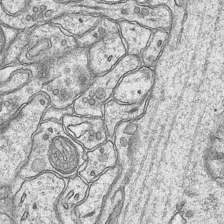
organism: Mouse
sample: CA1 Hippocampus